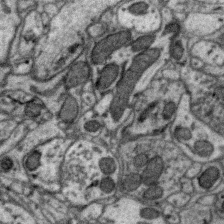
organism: Zebra finch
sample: Brain